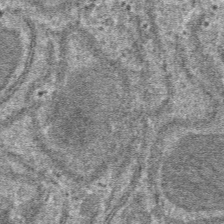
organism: Mouse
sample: Mouse hepatocytes